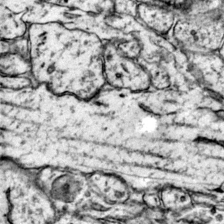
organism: Mouse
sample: Primary visual cortex